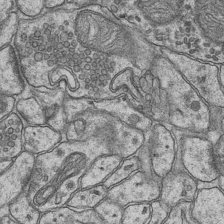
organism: Mouse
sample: CA1 Hippocampus